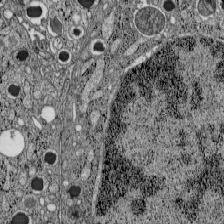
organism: C57BL Mouse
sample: Pancreatic islet